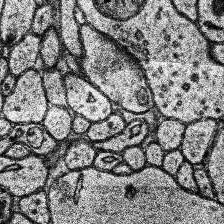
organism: Human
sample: Temporal Lobe